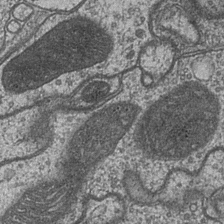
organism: Drosophila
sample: Optic medulla